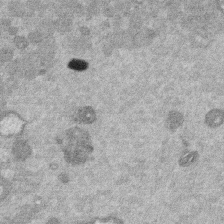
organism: Mouse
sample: Dividing mouse embryo 1 cell stage